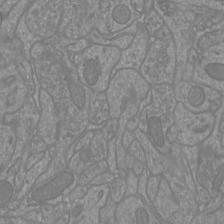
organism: Mouse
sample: Cortical neurons